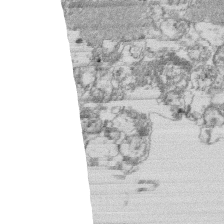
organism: Human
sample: HeLa cell HIV synapse